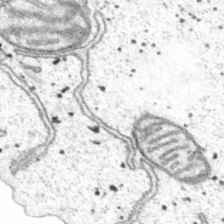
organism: Human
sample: HeLa cells